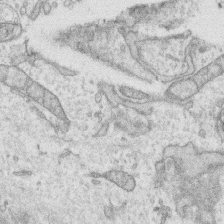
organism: Human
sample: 1205lu cells